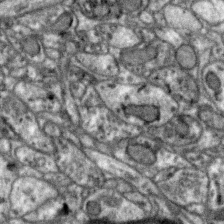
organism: Zebra finch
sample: Brain